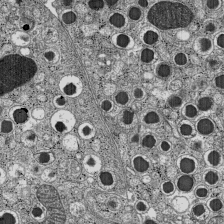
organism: C57BL Mouse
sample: Pancreatic islet